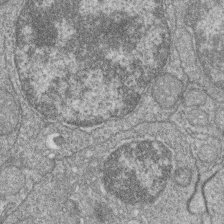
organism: Zebrafish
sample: Cilia; retinal pigment epithelium